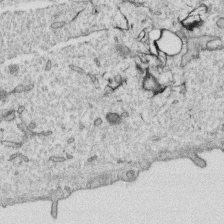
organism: Human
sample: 1205lu cells